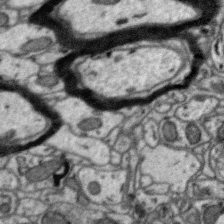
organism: Zebra finch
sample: Brain